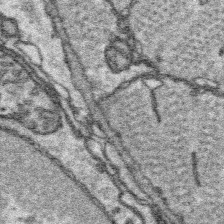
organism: Platynereis dumerilii